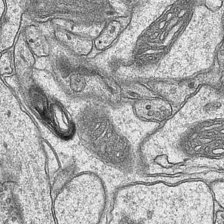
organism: Mouse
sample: CA1 Hippocampus